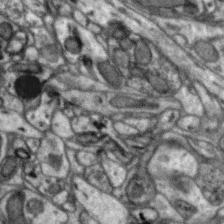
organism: Zebra finch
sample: Brain